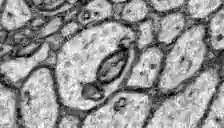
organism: Zebrafish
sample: Brain